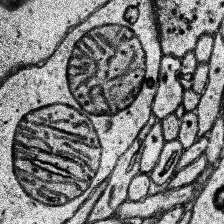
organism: Human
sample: Temporal Lobe